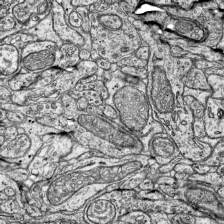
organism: Mouse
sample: Visual Cortex